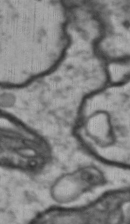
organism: Drosophila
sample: Brain